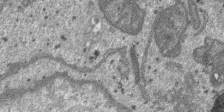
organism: Human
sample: Lung epithelial cells infected with SARS-CoV-2